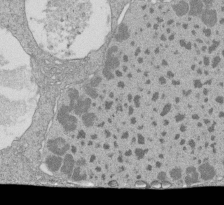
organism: Tetrahymena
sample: Cilia in tetrahymena